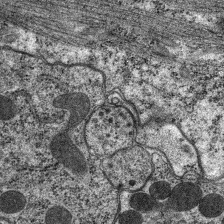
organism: C. elegans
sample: Pharynx